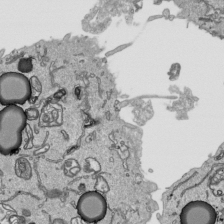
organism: Human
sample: Mitochondria in HCT116 cells